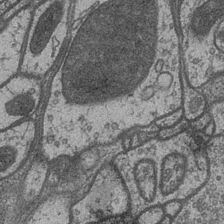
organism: Drosophila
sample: Optic medulla